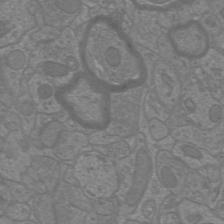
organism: Mouse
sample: Cortical neurons